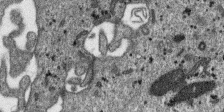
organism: Human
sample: Lung epithelial cells infected with SARS-CoV-2